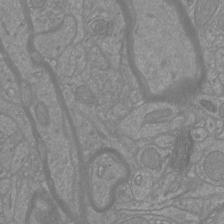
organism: Mouse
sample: Cortical neurons